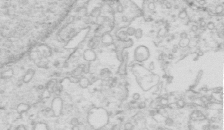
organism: Mouse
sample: Multiciliated cells